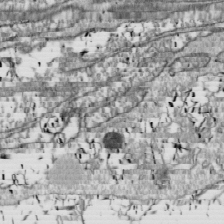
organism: Drosophila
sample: Cell division; meiosis; drosophila spermatocytes